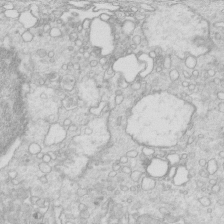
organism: Mouse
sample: Multiciliated cells